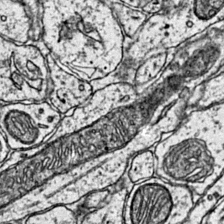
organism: Mouse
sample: Primary visual cortex